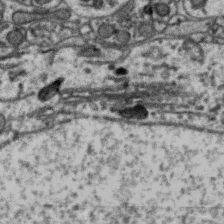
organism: Zebra finch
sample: Brain